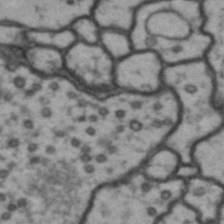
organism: Drosophila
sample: Brain